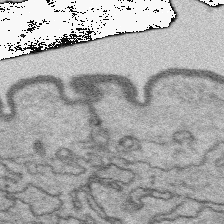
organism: Platynereis dumerilii